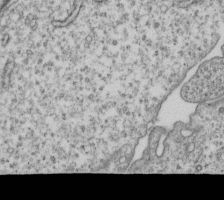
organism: Human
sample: MDA-MB-231 cells